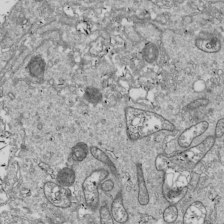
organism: Drosophila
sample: Cell division; meiosis; drosophila spermatocytes